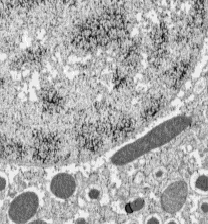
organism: C57BL Mouse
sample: Pancreatic islet